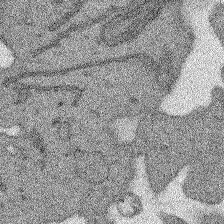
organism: Human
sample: HeLa cells